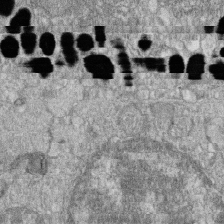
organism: Zebrafish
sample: Cilia; retinal pigment epithelium